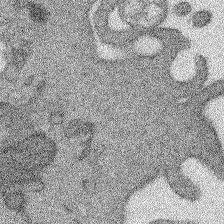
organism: Human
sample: HeLa cells